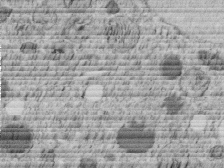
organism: C. elegans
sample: C. elegans embryo early stage